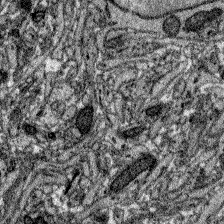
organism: Zebrafish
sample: Larval olfactory bulb